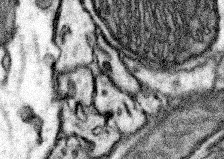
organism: Mouse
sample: Somatosensory cortex neuropil